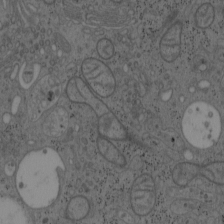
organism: Mouse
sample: OT-I killer T cells with ID8 ovarian cancer cells